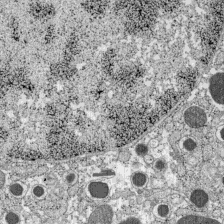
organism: C57BL Mouse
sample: Pancreatic islet